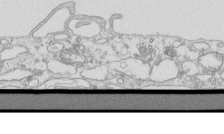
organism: Mouse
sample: Macrophages